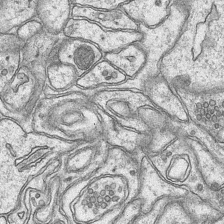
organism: Mouse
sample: CA1 Hippocampus